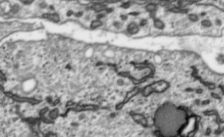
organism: Toxoplasma gondii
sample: Parasites in a vacuole inside a host cell